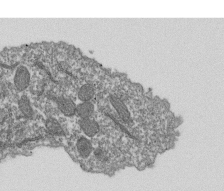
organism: Dictyostelium discoideum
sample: Dictyostelium multivesicular bodies